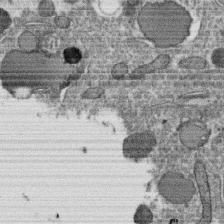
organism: C. elegans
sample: C. elegans oocyte; sperm cells